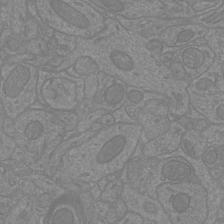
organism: Mouse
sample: Cortical neurons